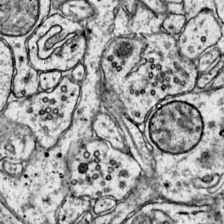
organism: Mouse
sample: Primary visual cortex